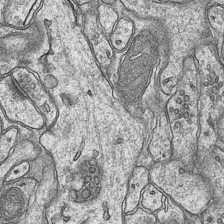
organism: Mouse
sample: CA1 Hippocampus